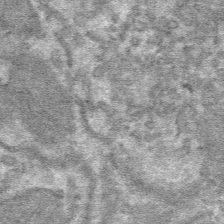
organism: Mouse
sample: Mouse hepatocytes